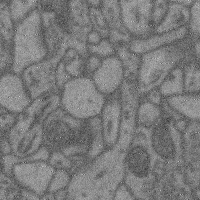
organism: Mouse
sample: Cerebral cortex